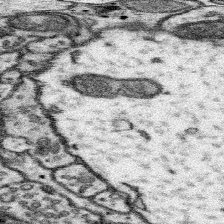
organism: Mouse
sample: Somatosensory cortex neuropil